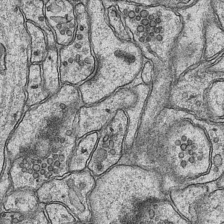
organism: Mouse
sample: CA1 Hippocampus